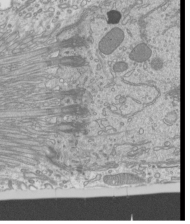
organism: Mouse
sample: Cilia; mouse epididymis